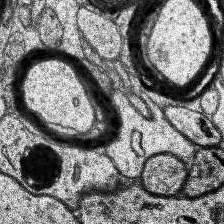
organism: Human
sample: Temporal Lobe